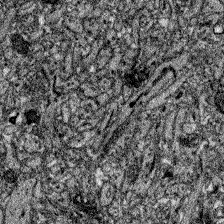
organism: Zebrafish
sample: Larval olfactory bulb